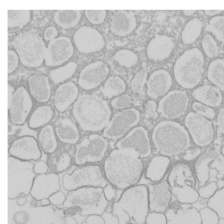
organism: Xenopus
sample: Cilia; centrioles in frog embryo cells